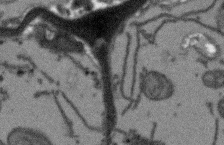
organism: Arabidopsis thaliana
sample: Root tip